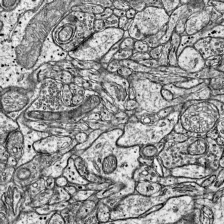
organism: Mouse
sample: Visual Cortex